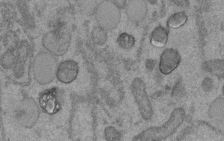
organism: C. elegans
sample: C. elegans embryo early stage